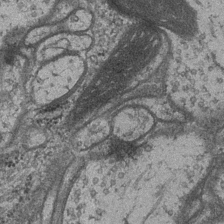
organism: Drosophila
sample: Optic medulla